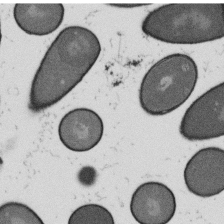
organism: B. subtilis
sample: Bacterial spore